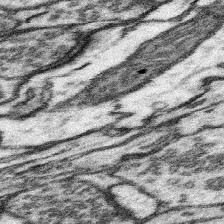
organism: Mouse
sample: Somatosensory cortex neuropil